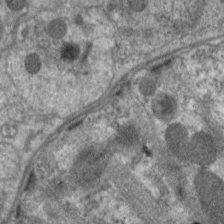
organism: C. elegans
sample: Pharynx